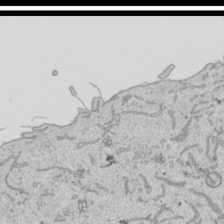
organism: Human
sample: Mitochondria in HCT116 cells